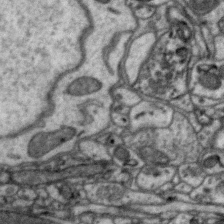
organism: Zebra finch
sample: Brain